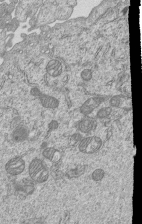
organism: Human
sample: MDA-MB-231 cells